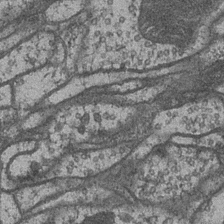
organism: Drosophila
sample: Optic medulla